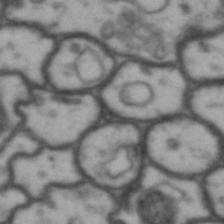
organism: Drosophila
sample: Brain